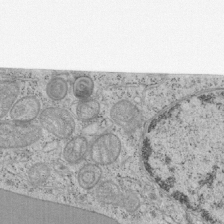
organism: Human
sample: HeLa cells